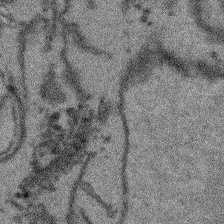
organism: Arabidopsis thaliana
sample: Root tip